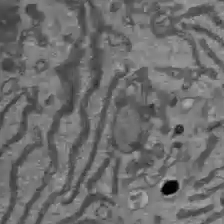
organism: C57BL Mouse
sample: Liver